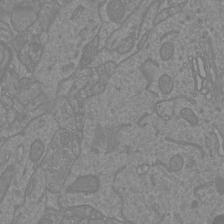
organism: Mouse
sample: Cortical neurons